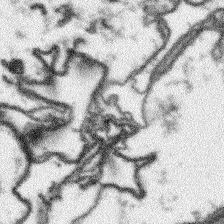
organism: Arabidopsis thaliana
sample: Root tip